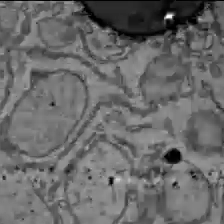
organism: C57BL Mouse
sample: Liver